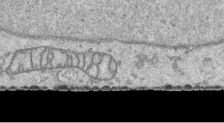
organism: Human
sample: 1205lu cells